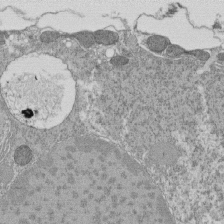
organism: Tetrahymena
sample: Cilia in tetrahymena